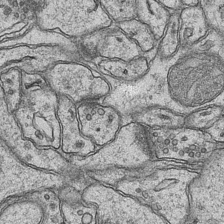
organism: Mouse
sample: CA1 Hippocampus